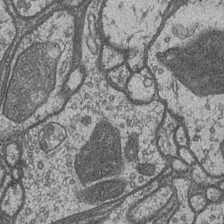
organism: Drosophila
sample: Optic medulla